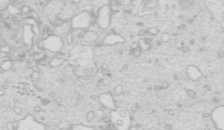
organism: Mouse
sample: Multiciliated cells